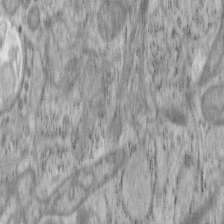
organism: Human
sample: HeLa cells